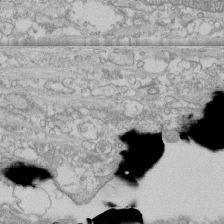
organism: Human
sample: CRL-1474